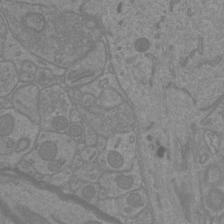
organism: Mouse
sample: Cortical neurons